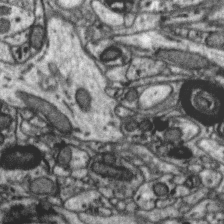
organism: Zebra finch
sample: Brain